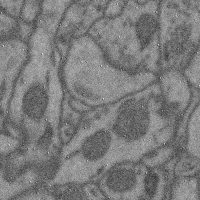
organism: Mouse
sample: Cerebral cortex